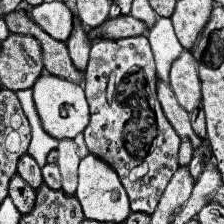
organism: Human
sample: Temporal Lobe